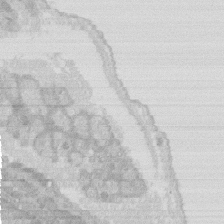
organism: Rat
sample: Salivary granule